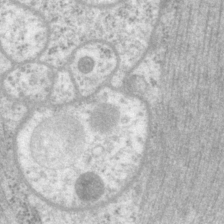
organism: P. pacificus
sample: Pharynx